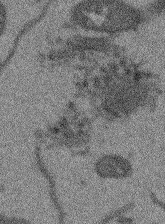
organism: Arabidopsis thaliana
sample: Root tip